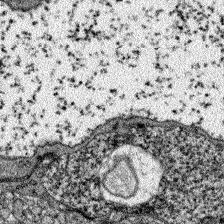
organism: Zebrafish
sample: Larval olfactory bulb